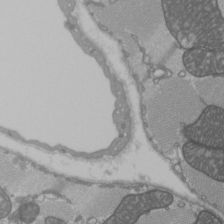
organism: C57BL Mouse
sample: Heart